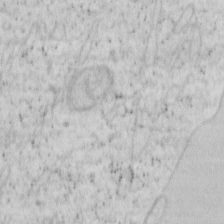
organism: Human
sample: HeLa cells